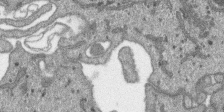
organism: Human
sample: Lung epithelial cells infected with SARS-CoV-2